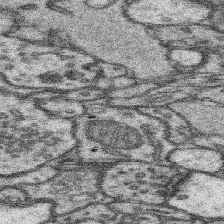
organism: Mouse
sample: Somatosensory cortex neuropil